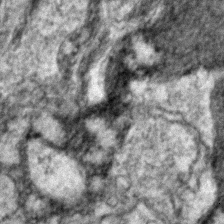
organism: Zebrafish